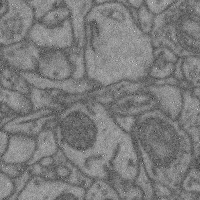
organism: Mouse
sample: Cerebral cortex